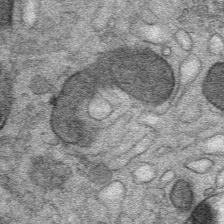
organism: Mouse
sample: Mouse Salivary gland